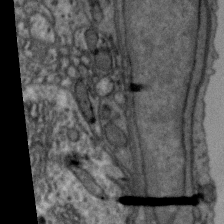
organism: Zebra finch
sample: Brain